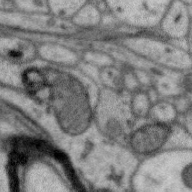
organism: Zebra finch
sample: Brain